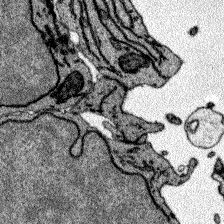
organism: Zebrafish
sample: Larval olfactory bulb